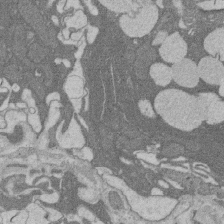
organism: Rat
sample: Salivary granule